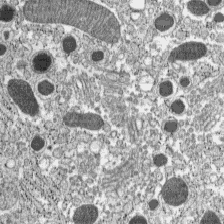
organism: C57BL Mouse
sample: Pancreatic islet